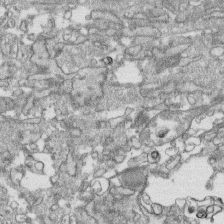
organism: Human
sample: CRL-1474